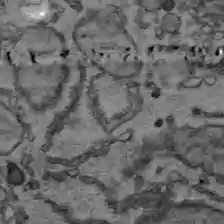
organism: C57BL Mouse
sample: Liver